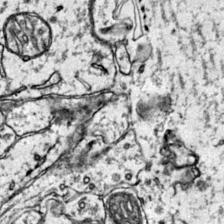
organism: Mouse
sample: Primary visual cortex